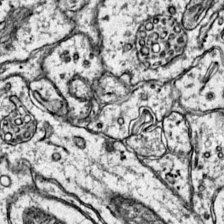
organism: Mouse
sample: Primary visual cortex